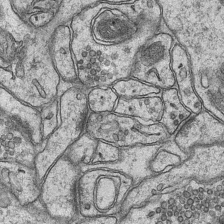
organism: Mouse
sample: CA1 Hippocampus